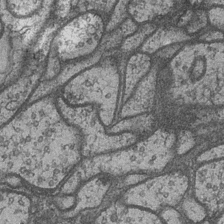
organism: Drosophila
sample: Optic medulla